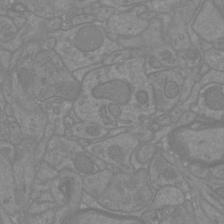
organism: Mouse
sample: Cortical neurons